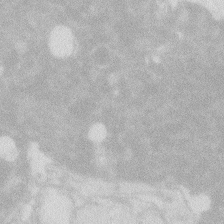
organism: Zebrafish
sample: Macrophage